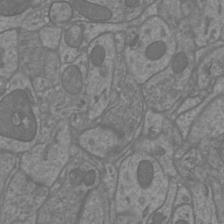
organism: Mouse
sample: Cortical neurons